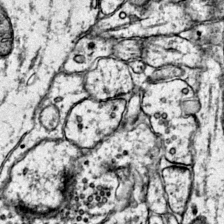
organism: Mouse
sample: Primary visual cortex